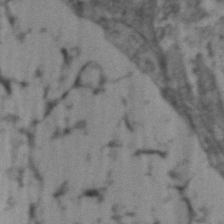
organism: Zebrafish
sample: Zebrafish embryo